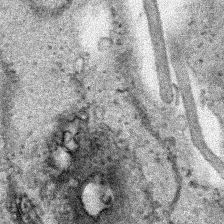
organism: Human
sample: Mitochondria in HCT116 cells